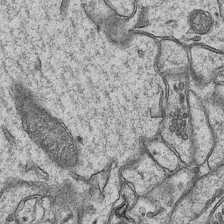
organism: Mouse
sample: CA1 Hippocampus